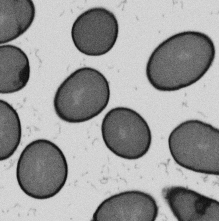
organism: B. subtilis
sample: Bacterial spore